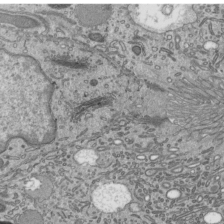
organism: Mouse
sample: Mouse epididymis efferent ductule cilia